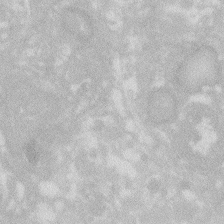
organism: Zebrafish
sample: Macrophage